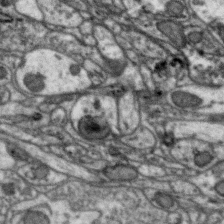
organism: Zebra finch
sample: Brain